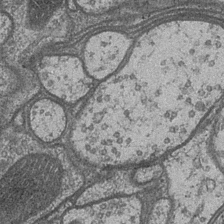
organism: Drosophila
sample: Optic medulla